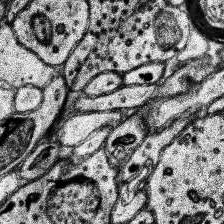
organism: Human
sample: Temporal Lobe